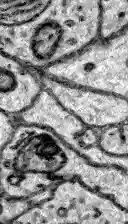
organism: Zebrafish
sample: Brain